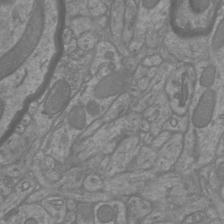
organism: Mouse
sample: Cortical neurons